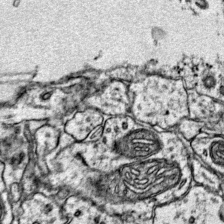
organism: Mouse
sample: Primary visual cortex